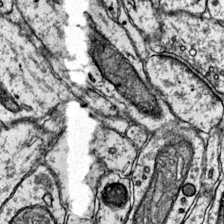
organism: Mouse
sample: Primary visual cortex